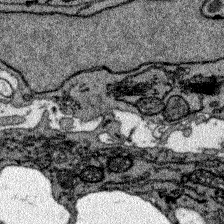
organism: Zebrafish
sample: Larval olfactory bulb